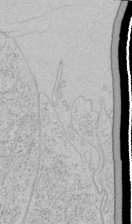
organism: Human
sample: Mitochondria in HCT116 cells